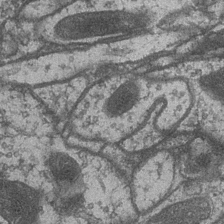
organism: Drosophila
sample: Optic medulla